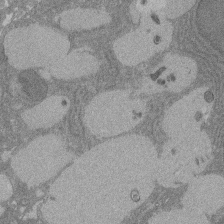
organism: Rat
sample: Salivary granule